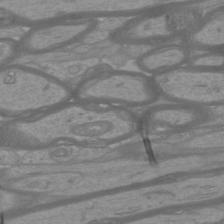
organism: Mouse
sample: Cortical neurons